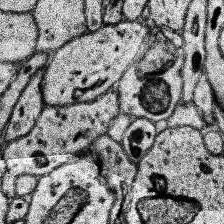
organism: Human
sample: Temporal Lobe